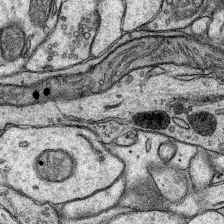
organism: Rat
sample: Hippocampus